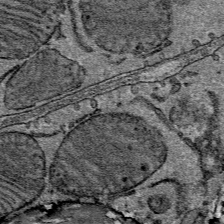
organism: Mouse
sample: Mouse Salivary gland